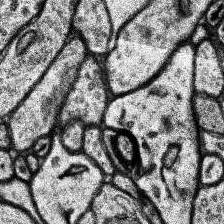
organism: Human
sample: Temporal Lobe